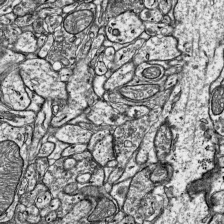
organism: Mouse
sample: Visual Cortex